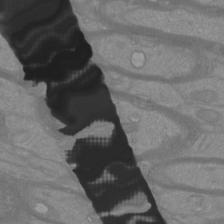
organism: Mouse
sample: Cortical neurons